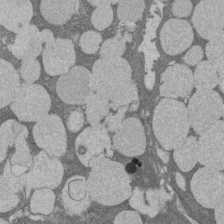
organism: Rat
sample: Salivary granule